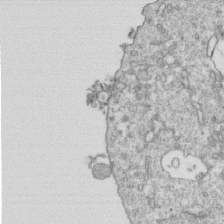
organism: Mouse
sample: Activated OT-1 CD8+ T cells